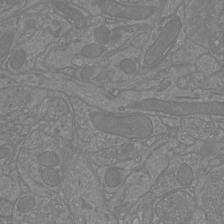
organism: Mouse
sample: Cortical neurons